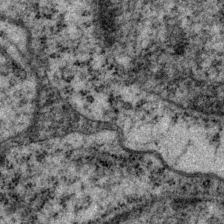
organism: P. pacificus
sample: Pharynx